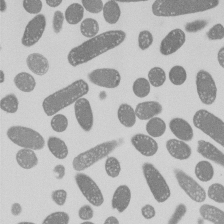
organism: E. coli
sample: Bacterial nucleoid